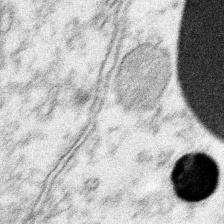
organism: Xenopus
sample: Cilia; centrioles in frog embryo cells